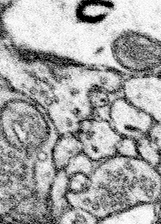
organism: Mouse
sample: Somatosensory cortex neuropil